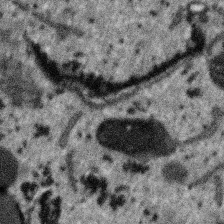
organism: Human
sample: Lung epithelial cells infected with SARS-CoV-2